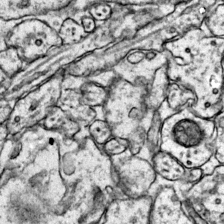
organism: Mouse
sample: Primary visual cortex